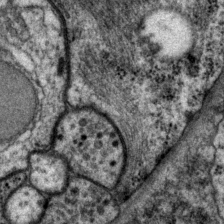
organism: P. pacificus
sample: Pharynx